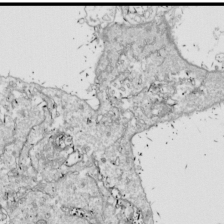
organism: Drosophila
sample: Cell division; meiosis; drosophila spermatocytes